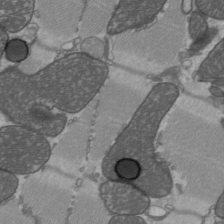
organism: C57BL Mouse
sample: Heart